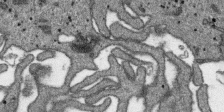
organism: Human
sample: Lung epithelial cells, uninfected (mock) control